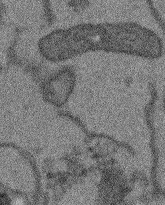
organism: Arabidopsis thaliana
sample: Root tip